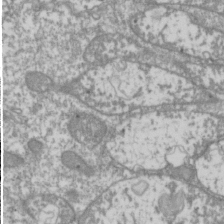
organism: Drosophila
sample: Cell division; meiosis; drosophila spermatocytes